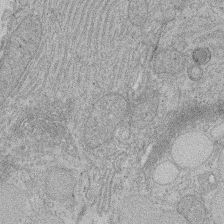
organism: Rat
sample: Salivary granule